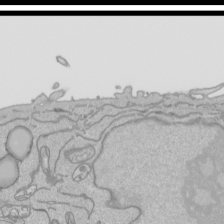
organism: Human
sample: Mitochondria in HCT116 cells